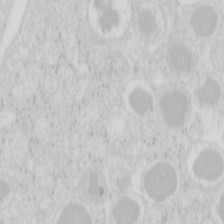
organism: Mouse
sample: Pancreas